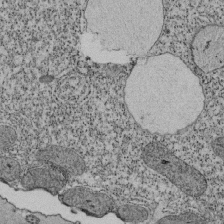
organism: Tetrahymena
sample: Cilia in tetrahymena